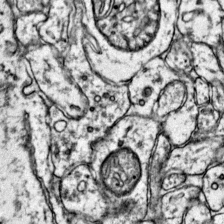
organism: Mouse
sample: Primary visual cortex